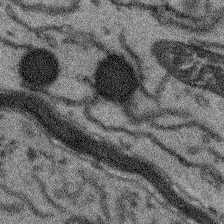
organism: Arabidopsis thaliana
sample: Root tip